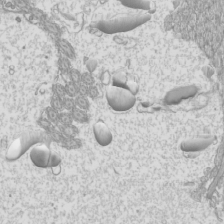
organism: Mouse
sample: Cilia; mouse epididymis